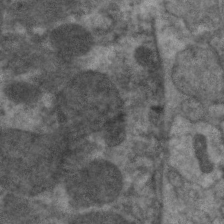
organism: C. elegans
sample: Pharynx